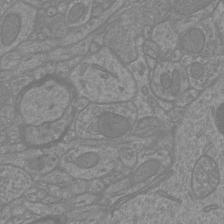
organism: Mouse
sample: Cortical neurons